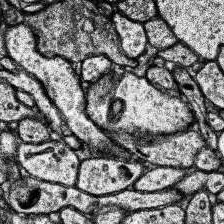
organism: Human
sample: Temporal Lobe